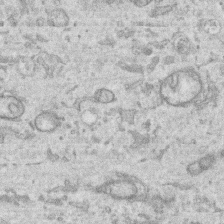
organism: Human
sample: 1205lu cells